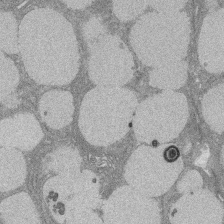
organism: Rat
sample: Salivary granule